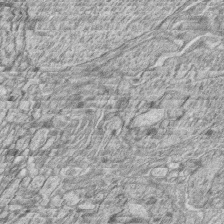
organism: Zebrafish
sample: synaptic ribbons in rod cells and cone cells